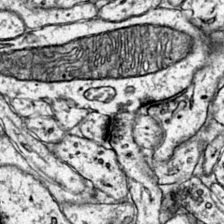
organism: Mouse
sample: Primary visual cortex